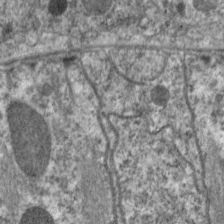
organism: C. elegans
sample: Pharynx